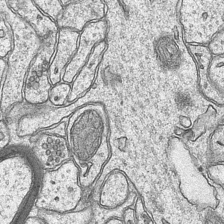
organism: Mouse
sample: CA1 Hippocampus